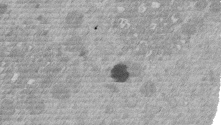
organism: Mouse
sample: Dividing mouse embryo 1 cell stage